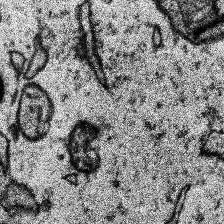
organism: Human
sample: Temporal Lobe